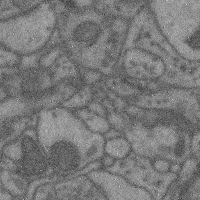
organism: Mouse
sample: Cerebral cortex